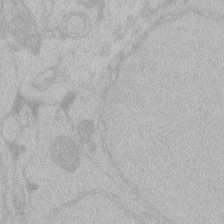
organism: Zebrafish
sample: Macrophage infected with Toxoplasma gondii